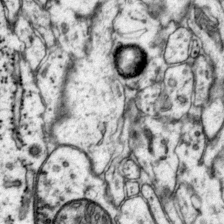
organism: Mouse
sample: Primary visual cortex